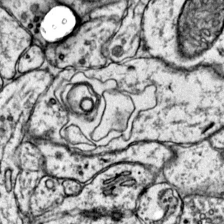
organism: Mouse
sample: Primary visual cortex